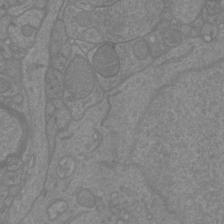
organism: Mouse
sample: Cortical neurons